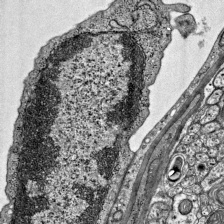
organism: Mouse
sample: Visual Cortex